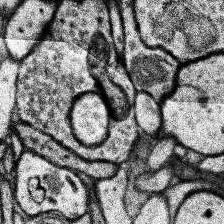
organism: Human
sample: Temporal Lobe